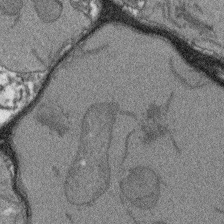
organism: Arabidopsis thaliana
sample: Root tip